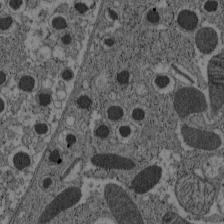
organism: C57BL Mouse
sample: Pancreatic islet